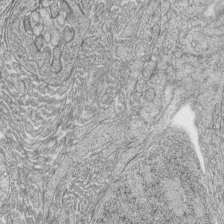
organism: Zebrafish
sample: synaptic ribbons in rod cells and cone cells